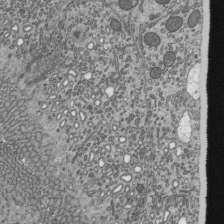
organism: Mouse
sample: Mouse epididymis efferent ductule cilia